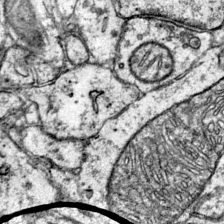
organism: Mouse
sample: Primary visual cortex